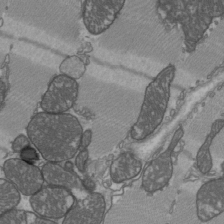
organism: C57BL Mouse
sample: Heart